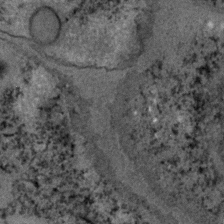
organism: C. elegans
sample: C. elegans embryo